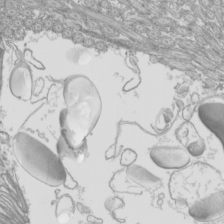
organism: Mouse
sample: Cilia; mouse epididymis